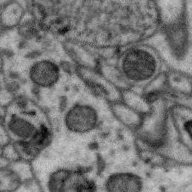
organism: Zebra finch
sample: Brain